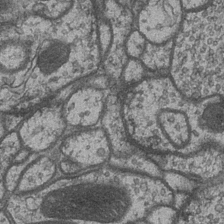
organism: Drosophila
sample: Optic medulla